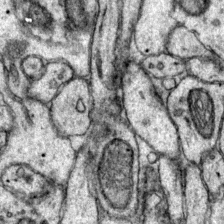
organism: Mouse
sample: Primary visual cortex